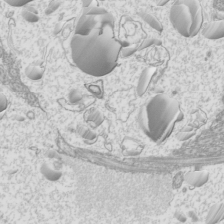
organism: Mouse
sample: Cilia; mouse epididymis